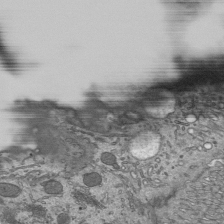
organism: Mouse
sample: Mouse epididymis efferent ductule cilia